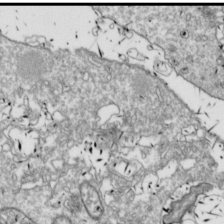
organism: Drosophila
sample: Cell division; meiosis; drosophila spermatocytes